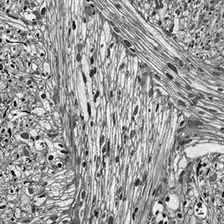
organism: Drosophila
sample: Optic lobe